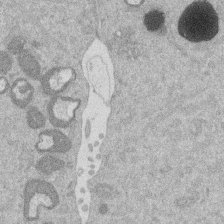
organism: Mouse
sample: Dividing mouse embryo 1 cell stage